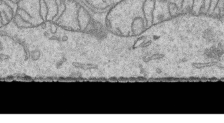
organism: Human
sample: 1205lu cells